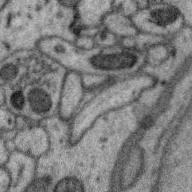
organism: Zebra finch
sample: Brain